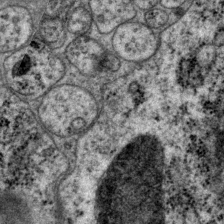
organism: P. pacificus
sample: Pharynx